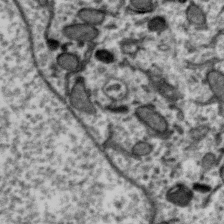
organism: Zebra finch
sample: Brain